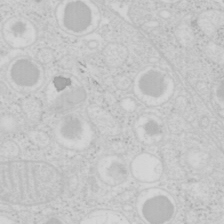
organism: Mouse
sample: Pancreas